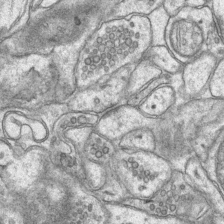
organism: Mouse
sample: CA1 Hippocampus